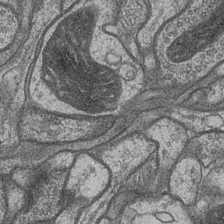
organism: Drosophila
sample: Optic medulla